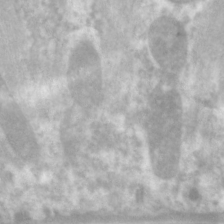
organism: C. elegans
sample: Pharynx